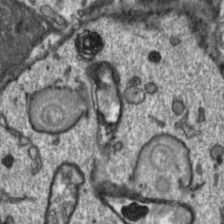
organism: Toxoplasma gondii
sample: Parasites in a vacuole inside a host cell